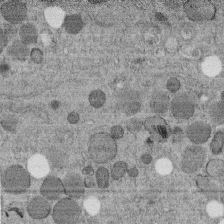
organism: C. elegans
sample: C. elegans embryo early stage